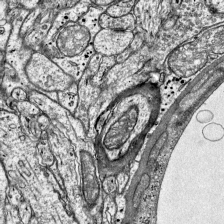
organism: Mouse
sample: Visual Cortex